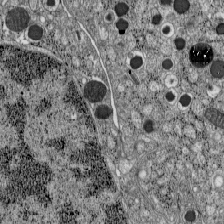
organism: C57BL Mouse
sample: Pancreatic islet